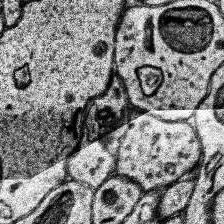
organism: Human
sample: Temporal Lobe